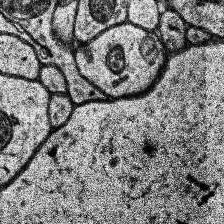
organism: Human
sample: Temporal Lobe